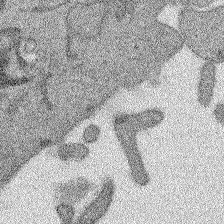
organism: Human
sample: HeLa cells